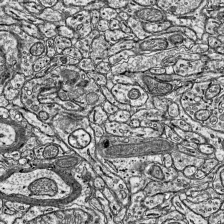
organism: Mouse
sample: Visual Cortex